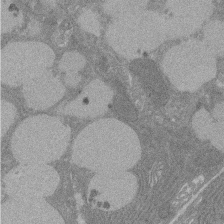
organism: Rat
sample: Salivary granule